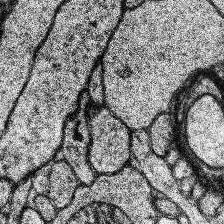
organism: Human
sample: Temporal Lobe